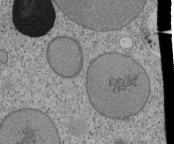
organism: Tetrahymena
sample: Cilia in tetrahymena